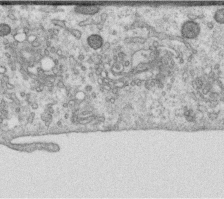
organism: Human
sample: Centriole in RPE cells